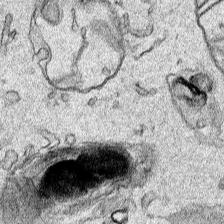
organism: Human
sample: Mitochondria in HCT116 cells